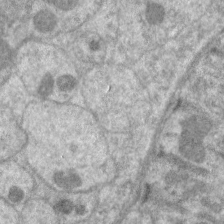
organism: C. elegans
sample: Pharynx